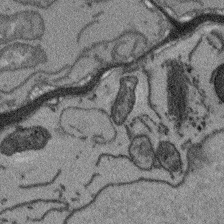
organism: Arabidopsis thaliana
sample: Root tip